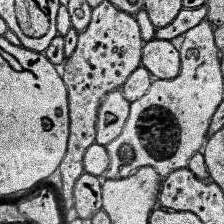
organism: Human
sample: Temporal Lobe